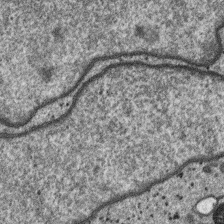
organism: Human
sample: Lung epithelial cells infected with SARS-CoV-2